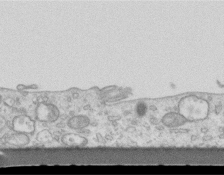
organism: Mouse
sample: Centriole in ependymal cells